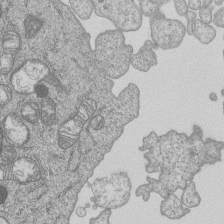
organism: Human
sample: MDA-MB-231 cells